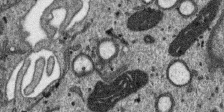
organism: Human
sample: Lung epithelial cells infected with SARS-CoV-2